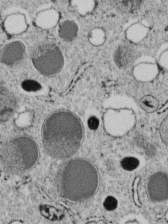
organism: C. elegans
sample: C. elegans embryo early stage